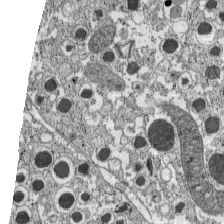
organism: C57BL Mouse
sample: Pancreatic islet